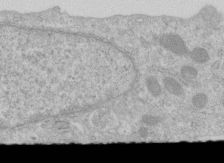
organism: Human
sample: Centriole in RPE cells